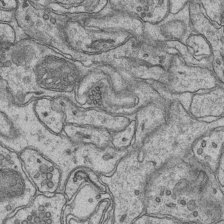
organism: Mouse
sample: CA1 Hippocampus